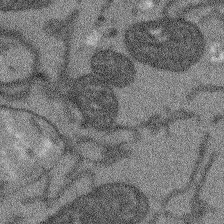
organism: Arabidopsis thaliana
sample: Root tip